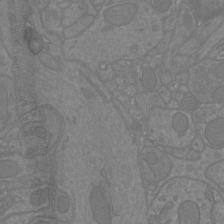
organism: Mouse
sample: Cortical neurons